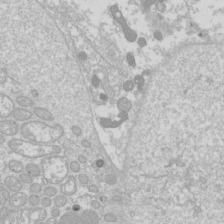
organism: Drosophila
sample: Cell division; meiosis; drosophila spermatocytes